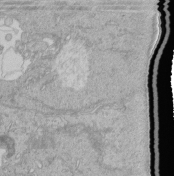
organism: Human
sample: Retinal organoid Rod and Cone cells